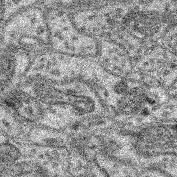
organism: Mouse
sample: Retina